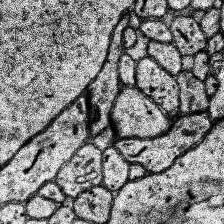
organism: Human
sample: Temporal Lobe